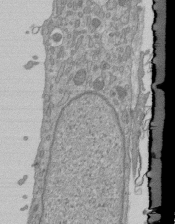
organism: Mouse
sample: ED-1 cell nuclei; centrioles